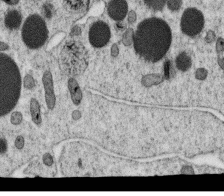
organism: C. elegans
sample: C. elegans oocyte; sperm cells